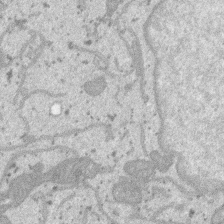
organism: Human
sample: Lung epithelial cells infected with SARS-CoV-2